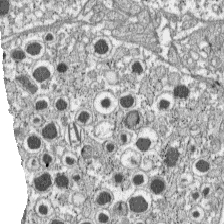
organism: C57BL Mouse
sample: Pancreatic islet